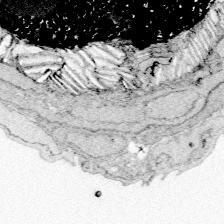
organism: Zebrafish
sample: Whole-Brain